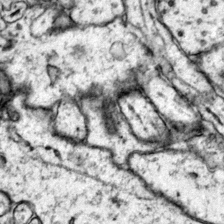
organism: Mouse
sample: Primary visual cortex